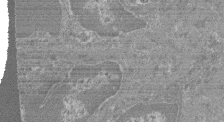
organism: Mouse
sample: Glomerulus